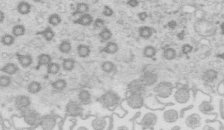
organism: Mouse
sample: Multiciliated cells